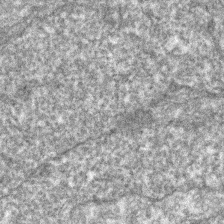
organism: Zebrafish